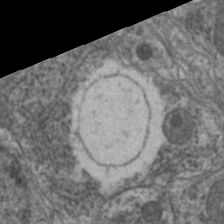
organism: C. elegans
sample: Pharynx